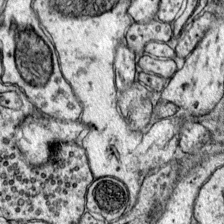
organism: Mouse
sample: Primary visual cortex